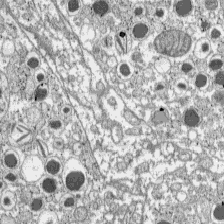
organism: C57BL Mouse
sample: Pancreatic islet